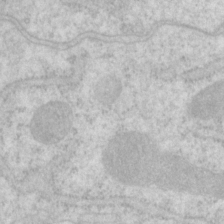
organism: P. pacificus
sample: Pharynx